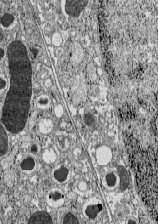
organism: C57BL Mouse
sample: Pancreatic islet